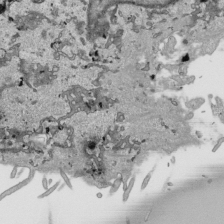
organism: Human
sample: Mitochondria in HCT116 cells